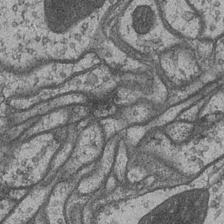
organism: Drosophila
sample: Optic medulla